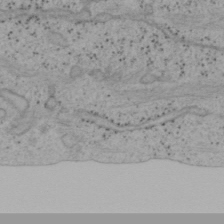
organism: Human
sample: HeLa cells